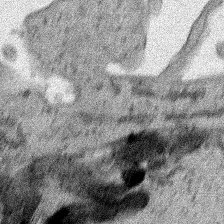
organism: Human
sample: Mitochondria in HCT116 cells